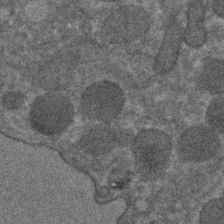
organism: C. elegans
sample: C. elegans embryo